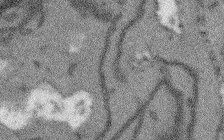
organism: Arabidopsis thaliana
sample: Root tip